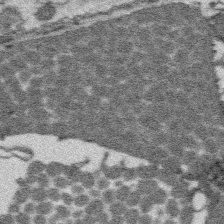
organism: Platynereis dumerilii